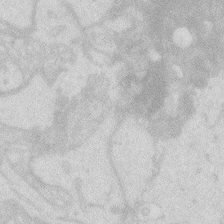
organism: Zebrafish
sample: Macrophage